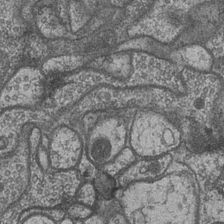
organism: Drosophila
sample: Optic medulla